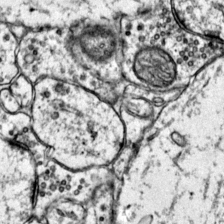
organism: Mouse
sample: Primary visual cortex